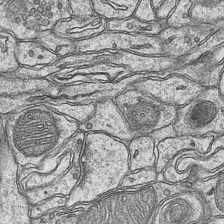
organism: Mouse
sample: CA1 Hippocampus